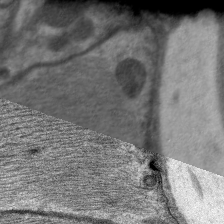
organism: C. elegans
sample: Pharynx